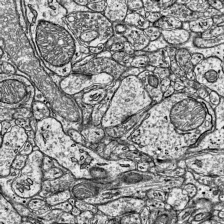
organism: Mouse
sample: Visual Cortex